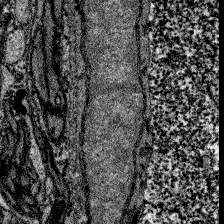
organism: Zebrafish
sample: Larval olfactory bulb